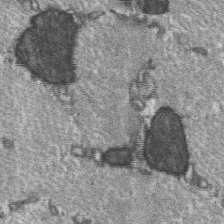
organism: C57BL Mouse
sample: Soleus